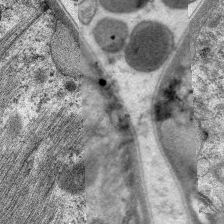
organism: C. elegans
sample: Pharynx